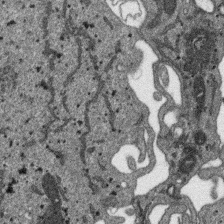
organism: Human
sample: Lung epithelial cells infected with SARS-CoV-2